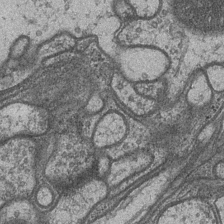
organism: Drosophila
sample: Optic medulla